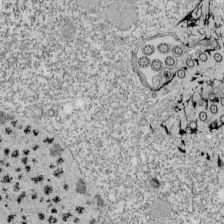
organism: Tetrahymena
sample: Cilia in tetrahymena